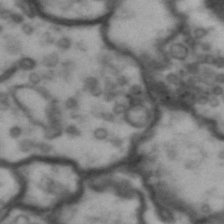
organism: Drosophila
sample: Brain